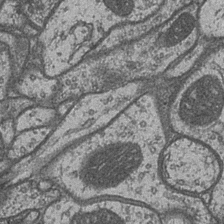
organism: Drosophila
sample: Optic medulla